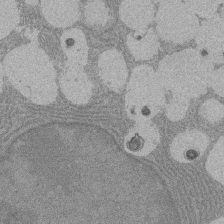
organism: Rat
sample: Salivary granule